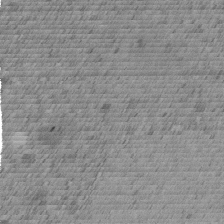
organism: C. elegans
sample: C. elegans embryo early stage